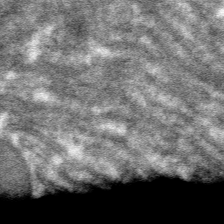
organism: Mouse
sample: Mouse hepatocytes